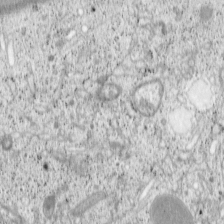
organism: African green monkey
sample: COS-7 cells